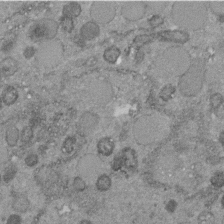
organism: C. elegans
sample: C. elegans embryo early stage